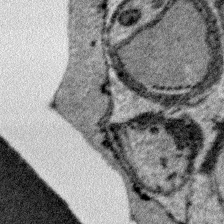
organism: Plasmodium falciparum